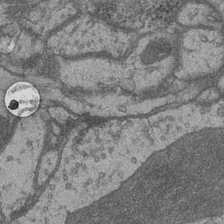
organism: Drosophila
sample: Optic medulla